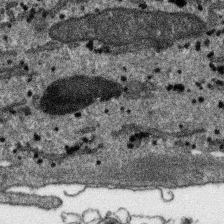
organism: Human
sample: Lung epithelial cells infected with SARS-CoV-2